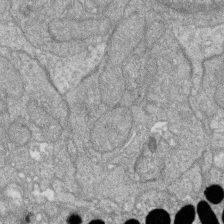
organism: Zebrafish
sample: Cilia; retinal pigment epithelium